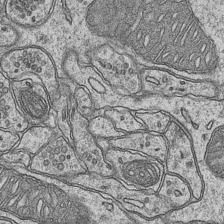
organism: Mouse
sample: CA1 Hippocampus